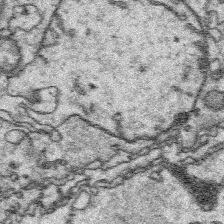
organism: Platynereis dumerilii